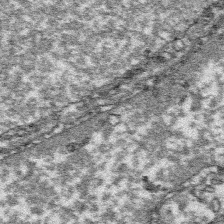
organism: Platynereis dumerilii